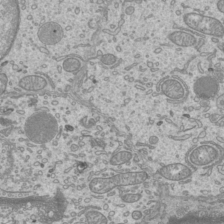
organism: Mouse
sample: Cilia; mouse epididymis